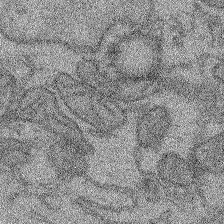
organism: Human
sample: HeLa cells